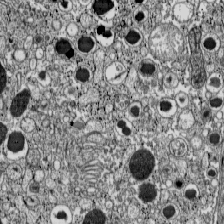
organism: C57BL Mouse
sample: Pancreatic islet